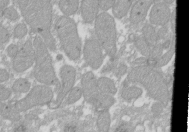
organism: Xenopus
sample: Cilia; centrioles in frog embryo cells